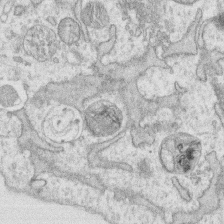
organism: Human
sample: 1205lu cells